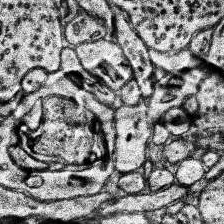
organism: Human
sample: Temporal Lobe